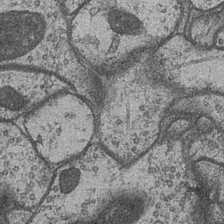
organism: Drosophila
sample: Optic medulla